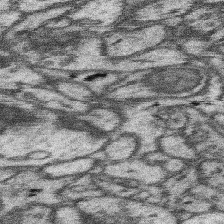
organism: Mouse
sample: Somatosensory cortex neuropil